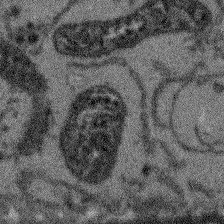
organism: Arabidopsis thaliana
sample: Root tip